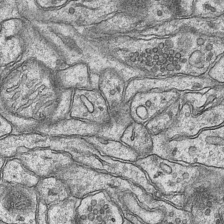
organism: Mouse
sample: CA1 Hippocampus